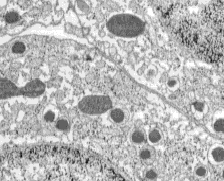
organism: C57BL Mouse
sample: Pancreatic islet